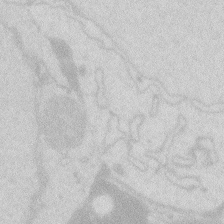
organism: Zebrafish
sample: Macrophage